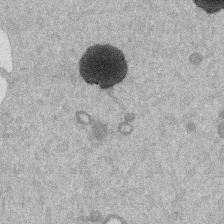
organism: Mouse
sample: Dividing mouse embryo 1 cell stage